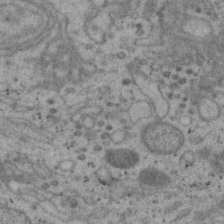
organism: Human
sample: HeLa cells